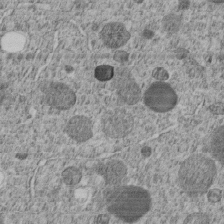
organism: C. elegans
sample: C. elegans embryo early stage